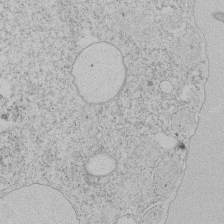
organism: Tetrahymena